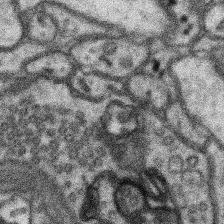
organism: Mouse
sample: Somatosensory cortex neuropil